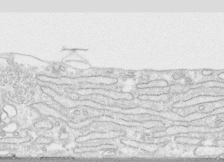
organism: Human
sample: CRL-1474